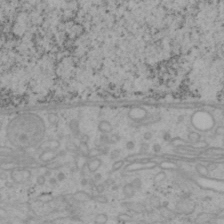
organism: Human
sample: HeLa cells